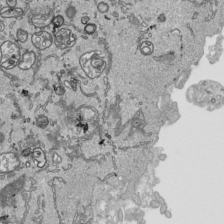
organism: Human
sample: Mitochondria in HCT116 cells